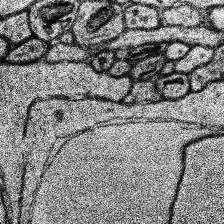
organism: Human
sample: Temporal Lobe